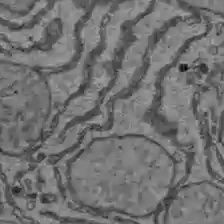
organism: C57BL Mouse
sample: Liver